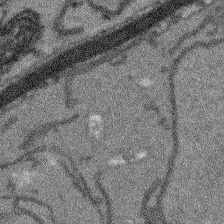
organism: Arabidopsis thaliana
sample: Root tip